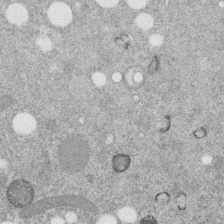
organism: C. elegans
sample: C. elegans embryo early stage